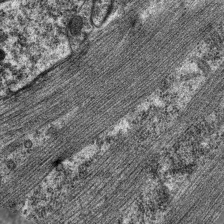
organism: C. elegans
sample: Pharynx